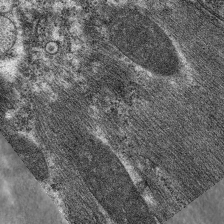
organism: C. elegans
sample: Pharynx